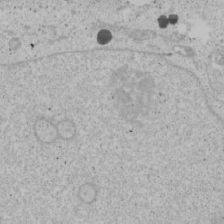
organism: Human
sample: Mitochondria in U2OS cells